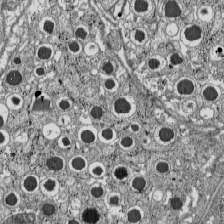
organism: C57BL Mouse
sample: Pancreatic islet